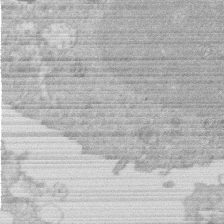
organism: Human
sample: Macrophage cells